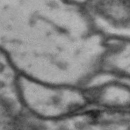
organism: Drosophila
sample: Brain